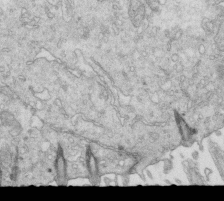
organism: Mouse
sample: Multiciliated cells